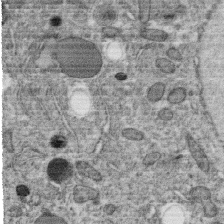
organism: C. elegans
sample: C. elegans oocyte; sperm cells